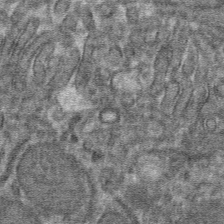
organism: Mouse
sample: Mouse hepatocytes